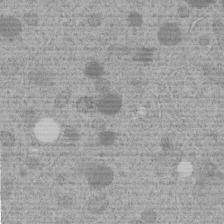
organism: C. elegans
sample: C. elegans embryo early stage